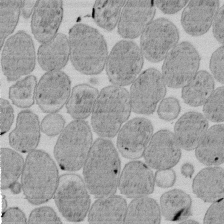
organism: E. coli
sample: Bacterial nucleoid